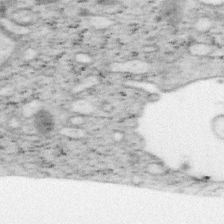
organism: Mouse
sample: OT-I killer T cells with ID8 ovarian cancer cells